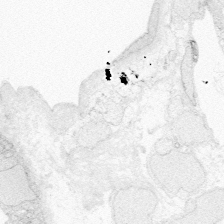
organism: Zebrafish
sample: Whole-Brain